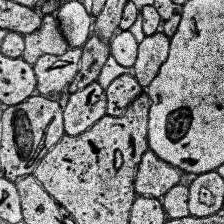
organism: Human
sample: Temporal Lobe